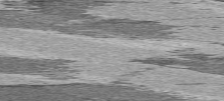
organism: C57BL Mouse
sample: Heart